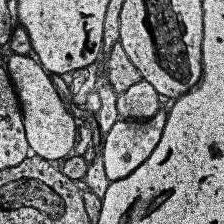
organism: Human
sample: Temporal Lobe